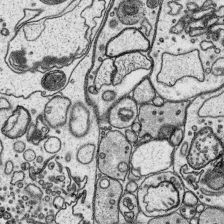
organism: Platynereis dumerilii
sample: Parapodia